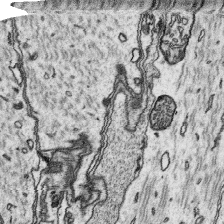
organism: Platynereis dumerilii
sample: Parapodia